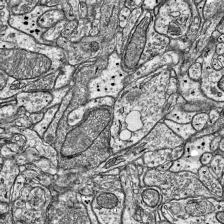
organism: Mouse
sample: Visual Cortex